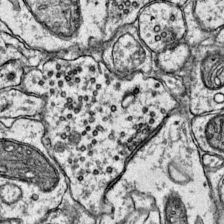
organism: Mouse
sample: Primary visual cortex